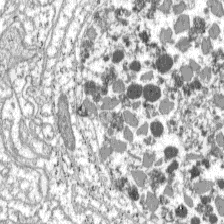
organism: C57BL Mouse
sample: Pancreatic islet